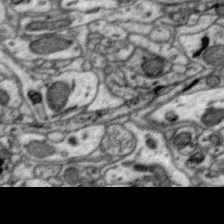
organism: Zebra finch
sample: Brain